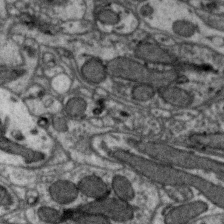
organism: Zebra finch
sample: Brain